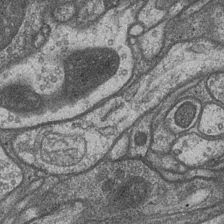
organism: Drosophila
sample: Optic medulla